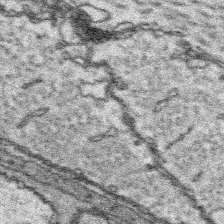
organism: Platynereis dumerilii